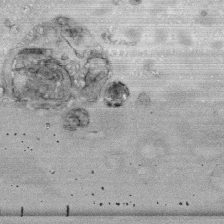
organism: Human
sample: CRL-1474